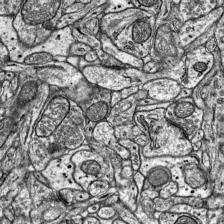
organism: Mouse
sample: Visual Cortex